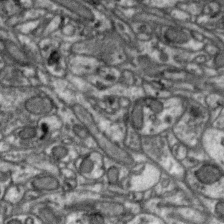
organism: Zebra finch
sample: Brain